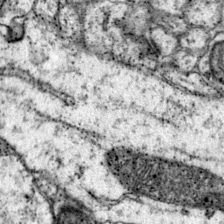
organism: Mouse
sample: Primary visual cortex